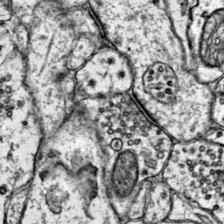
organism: Mouse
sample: Primary visual cortex